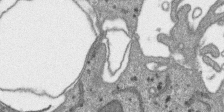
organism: Human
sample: Lung epithelial cells infected with SARS-CoV-2